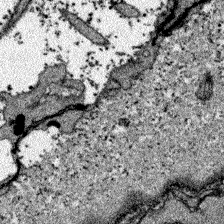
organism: Zebrafish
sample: Larval olfactory bulb